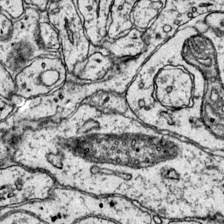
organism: Mouse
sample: Primary visual cortex